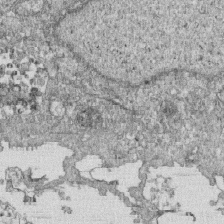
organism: Human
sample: HeLa cell HIV synapse